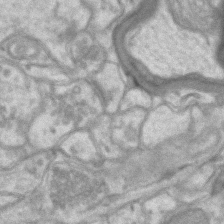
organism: Mouse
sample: CA1 Hippocampus